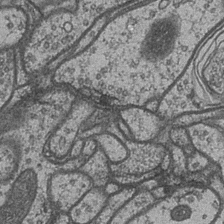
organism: Drosophila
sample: Optic medulla